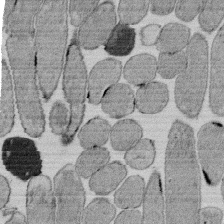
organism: E. coli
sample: Bacterial nucleoid